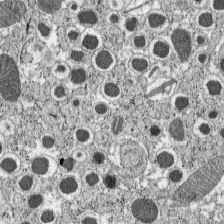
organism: C57BL Mouse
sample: Pancreatic islet